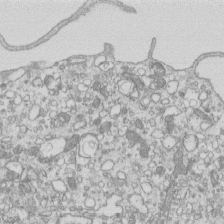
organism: Mouse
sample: Macrophages